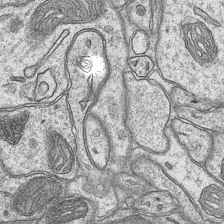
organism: Mouse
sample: CA1 Hippocampus